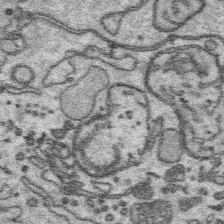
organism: Platynereis dumerilii